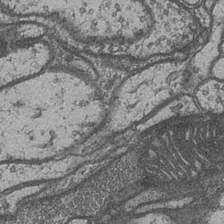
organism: Drosophila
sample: Optic medulla